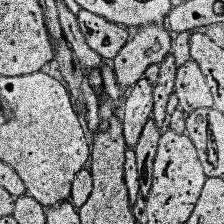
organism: Human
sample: Temporal Lobe